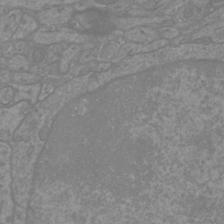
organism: Mouse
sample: Cortical neurons